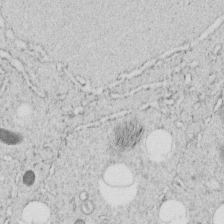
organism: C. elegans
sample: C. elegans embryo early stage